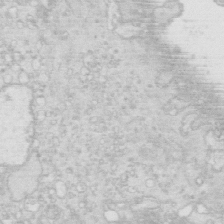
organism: Mouse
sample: Multiciliated cells